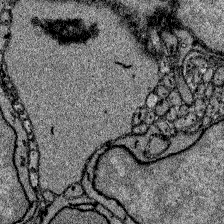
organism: Zebrafish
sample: Larval olfactory bulb